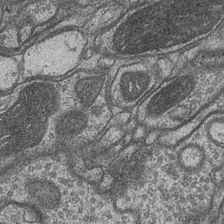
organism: Drosophila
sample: Optic medulla